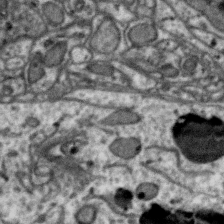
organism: Zebra finch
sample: Brain